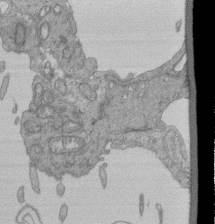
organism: Human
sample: Retinal organoid Rod and Cone cells